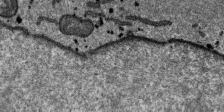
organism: Human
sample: Lung epithelial cells, uninfected (mock) control